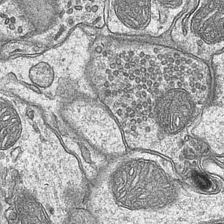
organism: Mouse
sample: CA1 Hippocampus